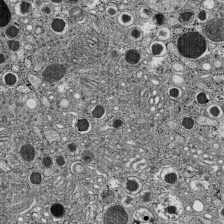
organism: C57BL Mouse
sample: Pancreatic islet